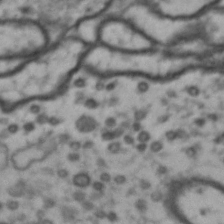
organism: Drosophila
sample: Brain